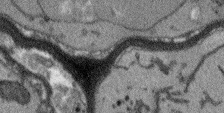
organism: Arabidopsis thaliana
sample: Root tip